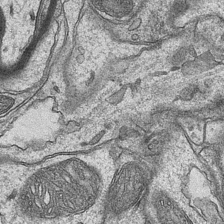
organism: Mouse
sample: CA1 Hippocampus